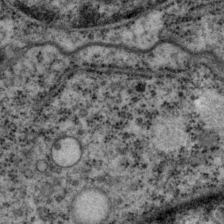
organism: P. pacificus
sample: Pharynx